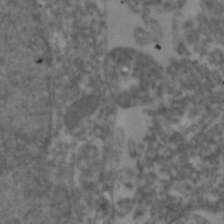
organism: Zebrafish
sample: Zebrafish embryo